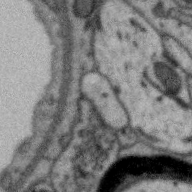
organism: Zebra finch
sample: Brain